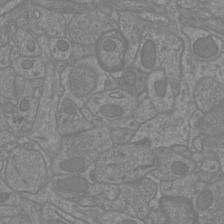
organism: Mouse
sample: Cortical neurons